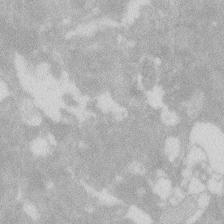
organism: Zebrafish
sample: Macrophage